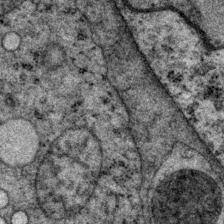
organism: P. pacificus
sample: Pharynx